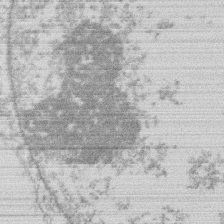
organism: Human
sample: Macrophage cells